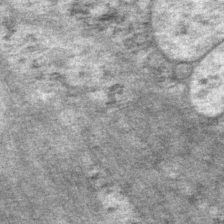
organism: P. pacificus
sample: Pharynx